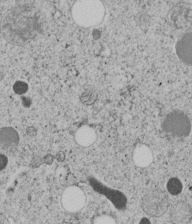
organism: C. elegans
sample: C. elegans embryo early stage